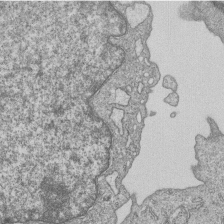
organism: Human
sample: MDA-MB-231 cells